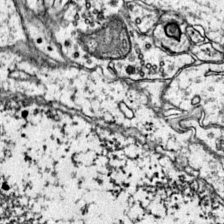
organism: Mouse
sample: Primary visual cortex